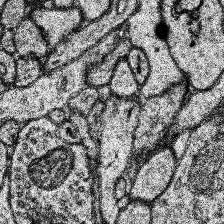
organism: Human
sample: Temporal Lobe